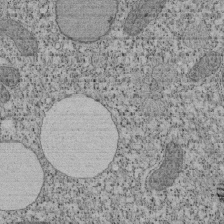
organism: Tetrahymena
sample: Cilia in tetrahymena